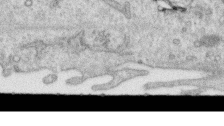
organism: Human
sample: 1205lu cells